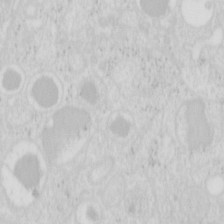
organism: Mouse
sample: Pancreas